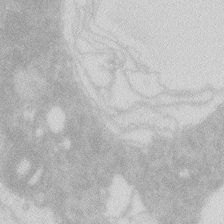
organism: Zebrafish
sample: Macrophage